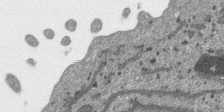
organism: Human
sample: Lung epithelial cells infected with SARS-CoV-2